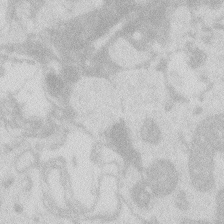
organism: Zebrafish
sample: Macrophage